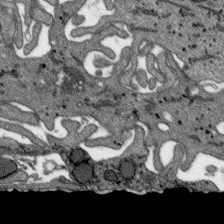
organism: Human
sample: Lung epithelial cells, uninfected (mock) control